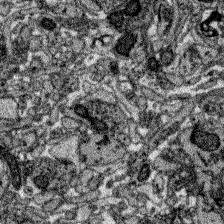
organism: Zebrafish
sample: Larval olfactory bulb